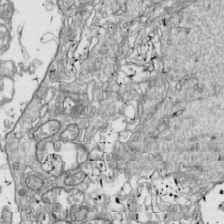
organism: Drosophila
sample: Cell division; meiosis; drosophila spermatocytes